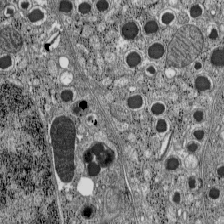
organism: C57BL Mouse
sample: Pancreatic islet